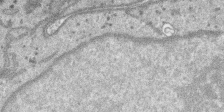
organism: Human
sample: Lung epithelial cells infected with SARS-CoV-2